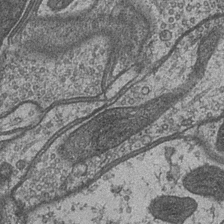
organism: Drosophila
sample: Optic medulla